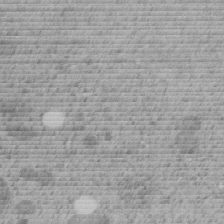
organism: C. elegans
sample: C. elegans embryo early stage